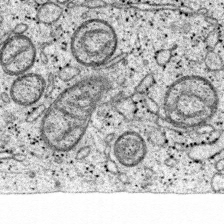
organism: Human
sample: HeLa cells